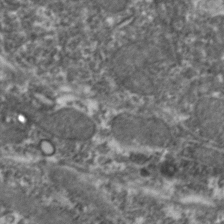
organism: Zebrafish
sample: Zebrafish embryo